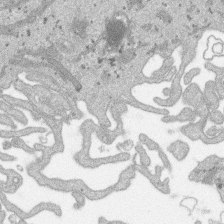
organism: Human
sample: Lung epithelial cells infected with SARS-CoV-2